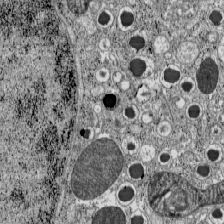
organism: C57BL Mouse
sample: Pancreatic islet